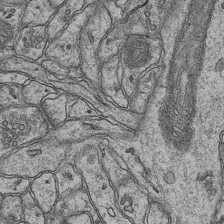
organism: Mouse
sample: CA1 Hippocampus